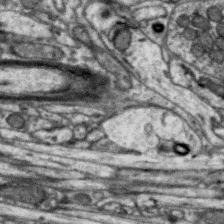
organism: Zebra finch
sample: Brain